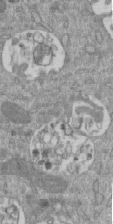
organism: Mouse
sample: ED-1 cell nuclei; centrioles